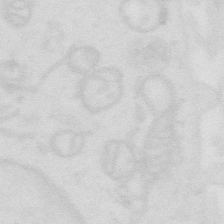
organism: Human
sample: HeLa cells